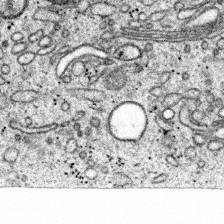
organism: Human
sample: HeLa cells